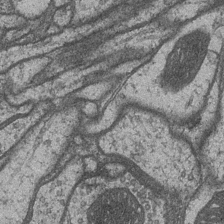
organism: Drosophila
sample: Optic medulla